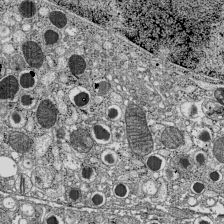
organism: C57BL Mouse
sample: Pancreatic islet